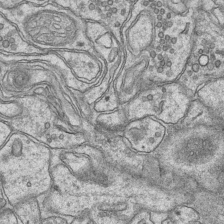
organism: Mouse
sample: CA1 Hippocampus